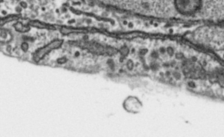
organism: Toxoplasma gondii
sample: Parasites in a vacuole inside a host cell